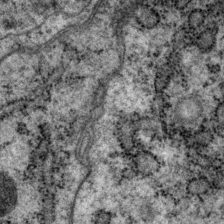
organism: P. pacificus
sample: Pharynx